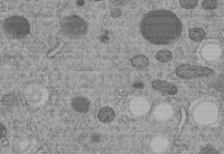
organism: C. elegans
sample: C. elegans embryo early stage